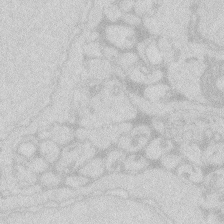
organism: Zebrafish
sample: Macrophage